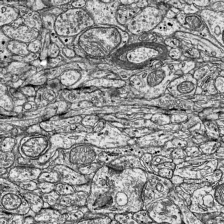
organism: Mouse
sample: Visual Cortex